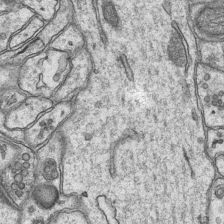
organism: Mouse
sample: CA1 Hippocampus